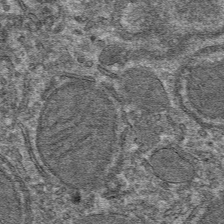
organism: Mouse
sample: Mouse hepatocytes